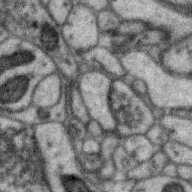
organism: Zebra finch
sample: Brain